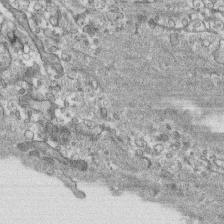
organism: Human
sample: CRL-1474